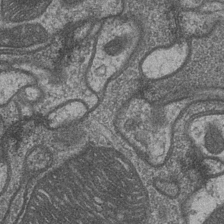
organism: Drosophila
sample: Optic medulla